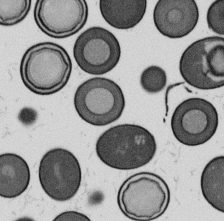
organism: B. subtilis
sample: Bacterial spore